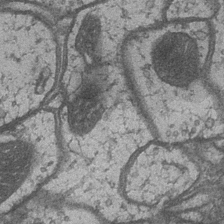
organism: Drosophila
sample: Optic medulla